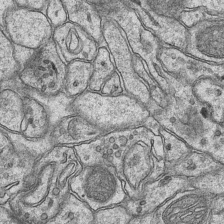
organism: Mouse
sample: CA1 Hippocampus